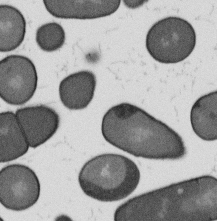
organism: B. subtilis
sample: Bacterial spore